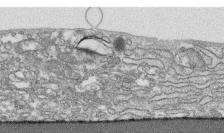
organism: Human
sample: CRL-1474